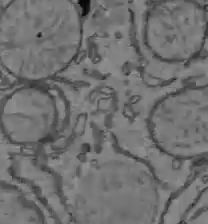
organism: C57BL Mouse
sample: Liver